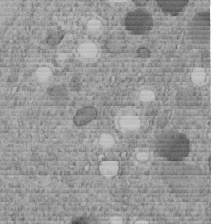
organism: C. elegans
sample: C. elegans embryo early stage